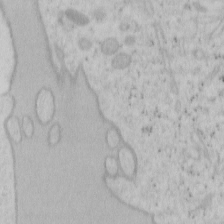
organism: Human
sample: HeLa cells